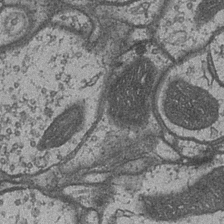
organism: Drosophila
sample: Optic medulla